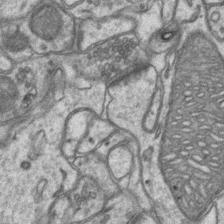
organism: Mouse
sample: CA1 Hippocampus